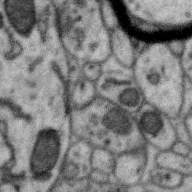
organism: Zebra finch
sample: Brain